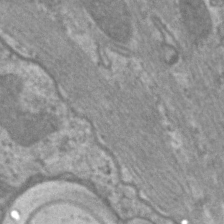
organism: C. elegans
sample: Pharynx